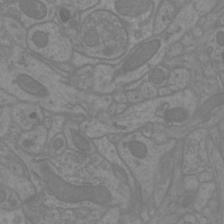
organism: Mouse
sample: Cortical neurons